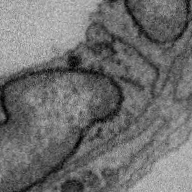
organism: Zebra finch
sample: Brain